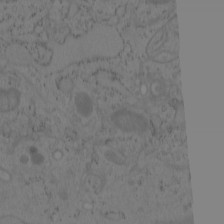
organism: Human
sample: HeLa cells